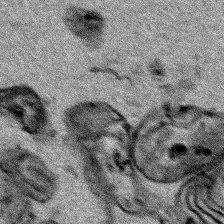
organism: Human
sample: Mitochondria in HCT116 cells